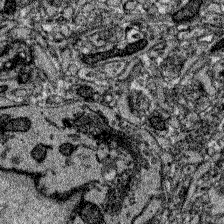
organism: Zebrafish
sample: Larval olfactory bulb